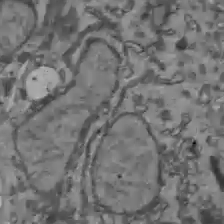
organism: C57BL Mouse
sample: Liver